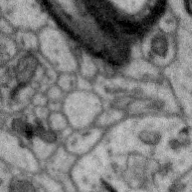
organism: Zebra finch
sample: Brain